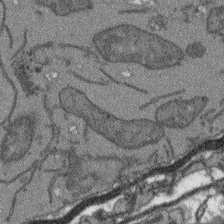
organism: Arabidopsis thaliana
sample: Root tip